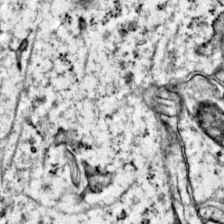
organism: Mouse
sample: Primary visual cortex